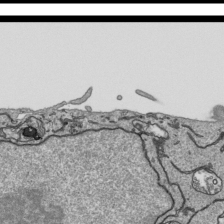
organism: Human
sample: Mitochondria in HCT116 cells